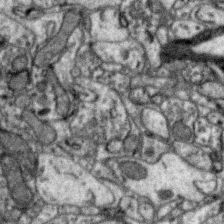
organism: Zebra finch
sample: Brain